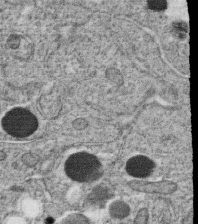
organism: C. elegans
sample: C. elegans oocyte; sperm cells